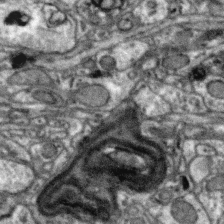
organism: Zebra finch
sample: Brain